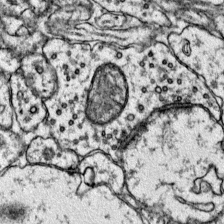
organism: Mouse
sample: Primary visual cortex